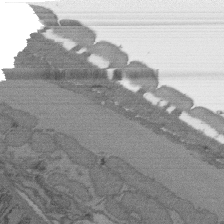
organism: C. elegans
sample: AFD neurons C. elegans